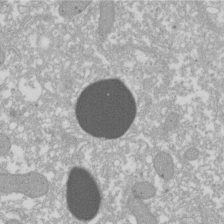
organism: Xenopus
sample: Cilia; centrioles in frog embryo cells